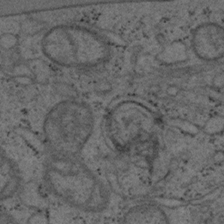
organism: Human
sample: HeLa cells